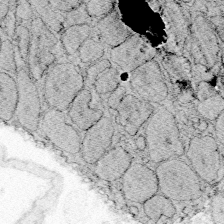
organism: Zebrafish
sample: Whole-Brain